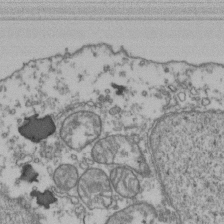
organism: Human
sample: Activated Jurkat CD4+ T cells